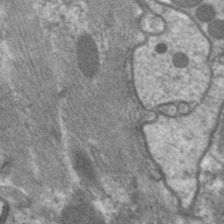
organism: C. elegans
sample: Pharynx